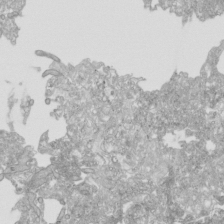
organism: Human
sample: Mitochondria in HCT116 cells